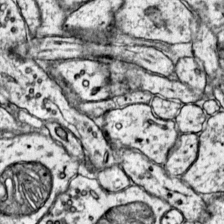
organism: Mouse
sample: Primary visual cortex